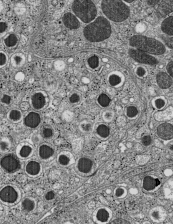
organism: C57BL Mouse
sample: Pancreatic islet